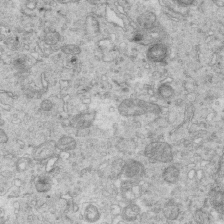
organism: Mouse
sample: Multiciliated cells